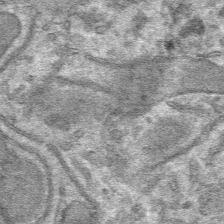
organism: Mouse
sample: Mouse hepatocytes